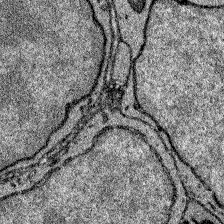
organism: Zebrafish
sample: Larval olfactory bulb